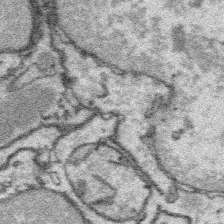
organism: Platynereis dumerilii